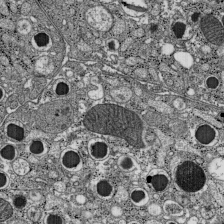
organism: C57BL Mouse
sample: Pancreatic islet